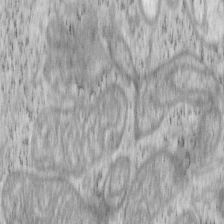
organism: Human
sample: HeLa cells